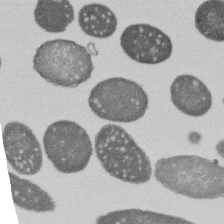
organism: E. coli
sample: Bacterial nucleoid